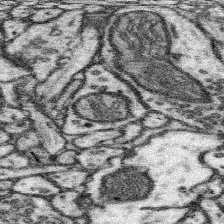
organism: Mouse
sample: Somatosensory cortex neuropil